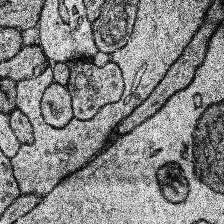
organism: Human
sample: Temporal Lobe